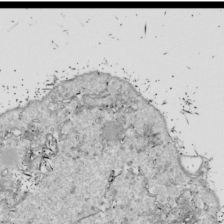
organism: Drosophila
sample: Cell division; meiosis; drosophila spermatocytes